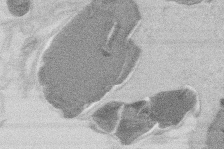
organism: Mouse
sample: T cell stromal cell synapse